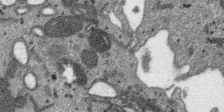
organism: Human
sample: Lung epithelial cells infected with SARS-CoV-2